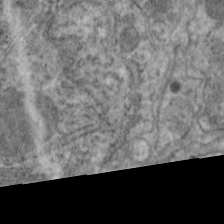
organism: C. elegans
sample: Pharynx